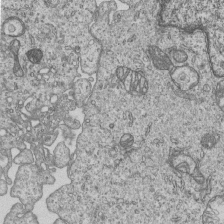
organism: Human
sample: MDA-MB-231 cells